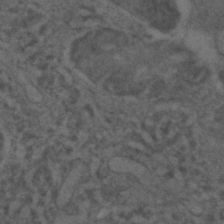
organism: C. elegans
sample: C. elegans embryo